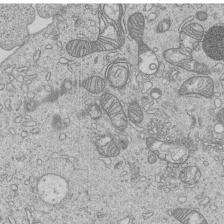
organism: Human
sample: MDA-MB-231 cells